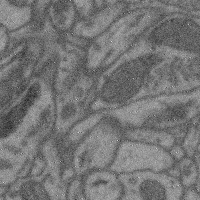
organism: Mouse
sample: Cerebral cortex